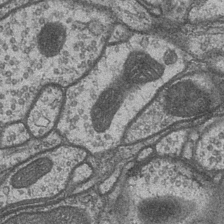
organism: Drosophila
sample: Optic medulla